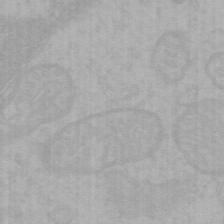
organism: Mouse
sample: Choroid plexus